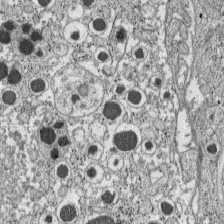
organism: C57BL Mouse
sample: Pancreatic islet